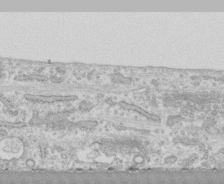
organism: Human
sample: CRL-1474